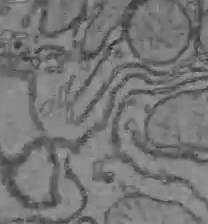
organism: C57BL Mouse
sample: Liver